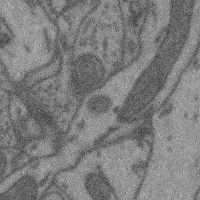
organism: Mouse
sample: Cerebral cortex